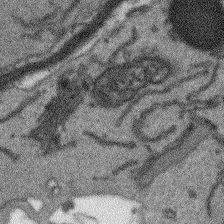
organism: Arabidopsis thaliana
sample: Root tip